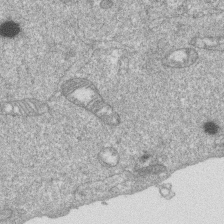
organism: Human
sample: HeLa cell HIV synapse